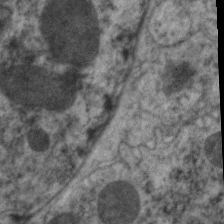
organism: C. elegans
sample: Pharynx